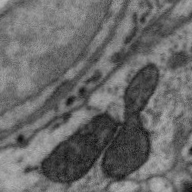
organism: Zebra finch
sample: Brain